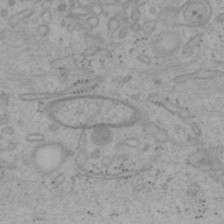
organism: Human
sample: HeLa cells